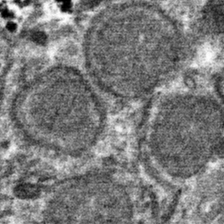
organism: Mouse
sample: Mouse hepatocytes